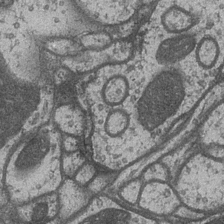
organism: Drosophila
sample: Optic medulla